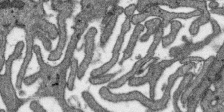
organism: Human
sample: Lung epithelial cells, uninfected (mock) control